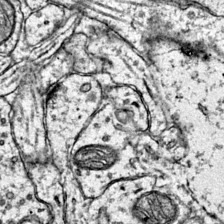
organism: Mouse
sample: Primary visual cortex